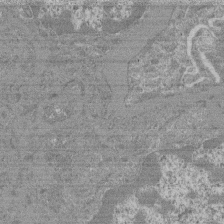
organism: Mouse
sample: Glomerulus